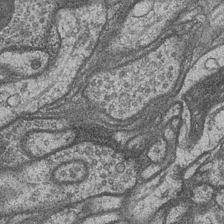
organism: Drosophila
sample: Optic medulla